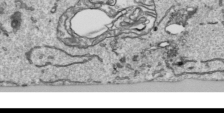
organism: Human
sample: Mitochondria in HCT116 cells